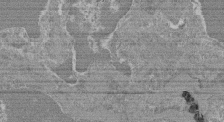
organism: Mouse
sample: Glomerulus